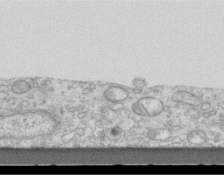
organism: Mouse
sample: Centriole in ependymal cells